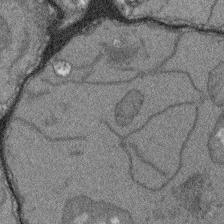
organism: Arabidopsis thaliana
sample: Root tip